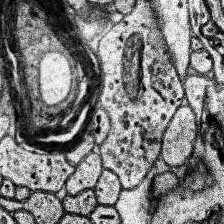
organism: Human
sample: Temporal Lobe